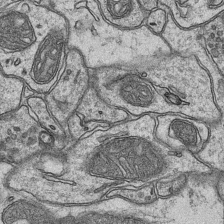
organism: Mouse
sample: CA1 Hippocampus